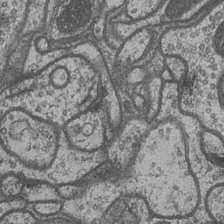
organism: Drosophila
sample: Optic medulla